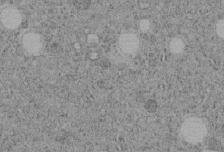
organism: C. elegans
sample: C. elegans embryo early stage